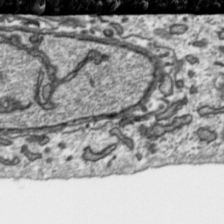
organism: Toxoplasma gondii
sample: Parasites in a vacuole inside a host cell